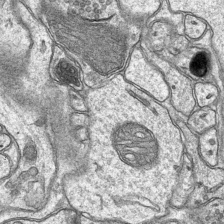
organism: Mouse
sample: CA1 Hippocampus